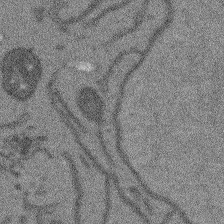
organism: Arabidopsis thaliana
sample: Root tip